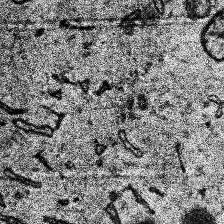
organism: Human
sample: Temporal Lobe